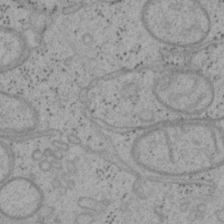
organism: Human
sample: HeLa cells